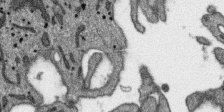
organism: Human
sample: Lung epithelial cells, uninfected (mock) control